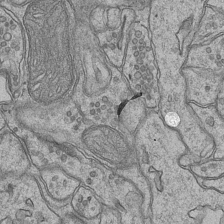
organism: Mouse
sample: CA1 Hippocampus